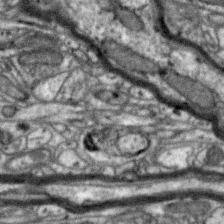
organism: Zebra finch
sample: Brain